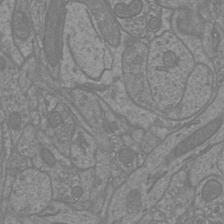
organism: Mouse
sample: Cortical neurons